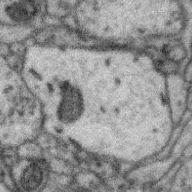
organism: Zebra finch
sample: Brain